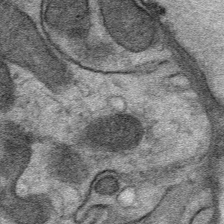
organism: Mouse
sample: Mouse Salivary gland